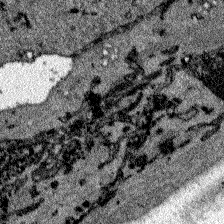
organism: Zebrafish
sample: Larval olfactory bulb